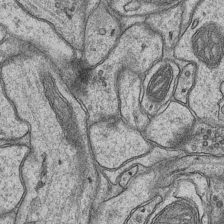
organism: Mouse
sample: CA1 Hippocampus